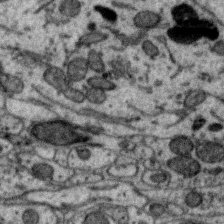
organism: Zebra finch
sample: Brain